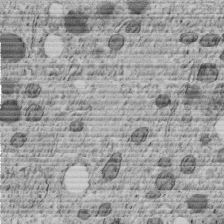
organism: C. elegans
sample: C. elegans embryo early stage